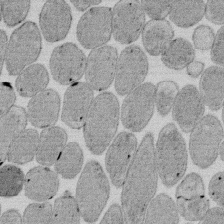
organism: E. coli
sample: Bacterial nucleoid